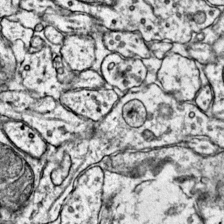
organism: Mouse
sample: Primary visual cortex